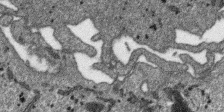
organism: Human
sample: Lung epithelial cells infected with SARS-CoV-2